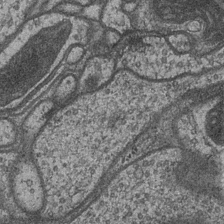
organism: Drosophila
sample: Optic medulla